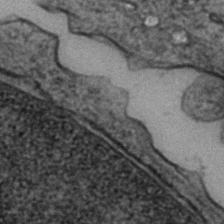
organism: Zebrafish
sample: Zebrafish embryo